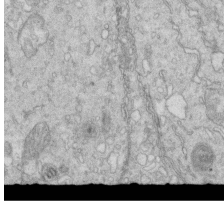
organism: Mouse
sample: Multiciliated cells